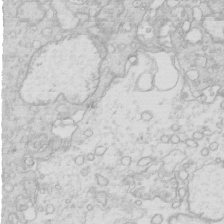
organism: Mouse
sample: Multiciliated cells